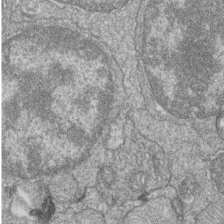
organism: Zebrafish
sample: Cilia; retinal pigment epithelium